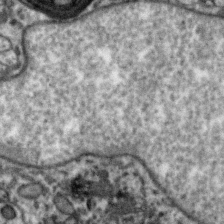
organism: Zebra finch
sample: Brain